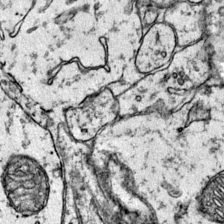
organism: Mouse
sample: Primary visual cortex